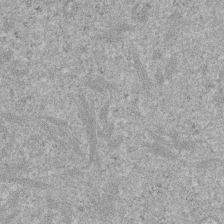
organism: Mouse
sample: Dividing mouse embryo 1 cell stage